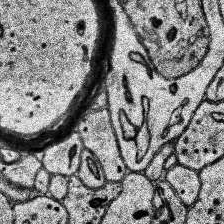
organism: Human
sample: Temporal Lobe